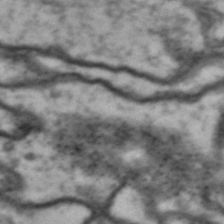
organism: Drosophila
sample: Brain